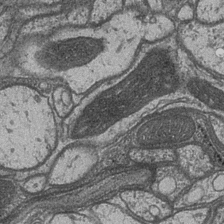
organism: Drosophila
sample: Optic medulla